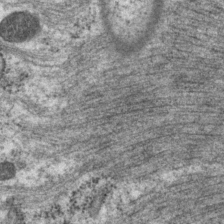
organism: P. pacificus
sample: Pharynx